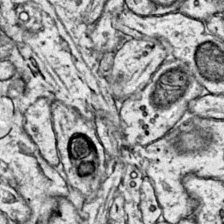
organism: Mouse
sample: Primary visual cortex